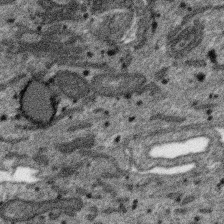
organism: Human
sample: Lung epithelial cells infected with SARS-CoV-2